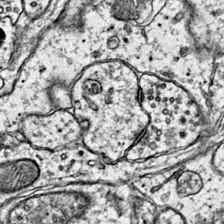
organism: Mouse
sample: Primary visual cortex